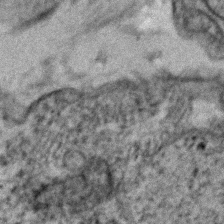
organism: Human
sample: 1205lu cells